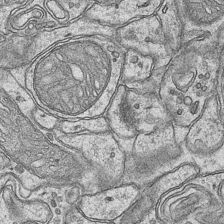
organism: Mouse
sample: CA1 Hippocampus